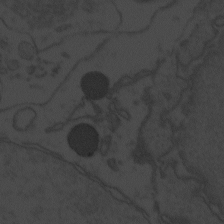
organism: Zebrafish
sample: Macrophage infected with Toxoplasma gondii